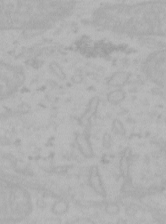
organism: Mouse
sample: Choroid plexus